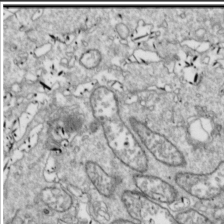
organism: Drosophila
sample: Cell division; meiosis; drosophila spermatocytes